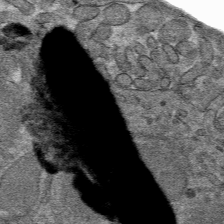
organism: Mouse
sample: Mouse hepatocytes